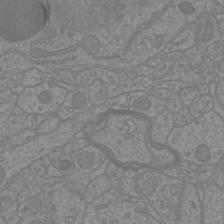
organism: Mouse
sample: Cortical neurons